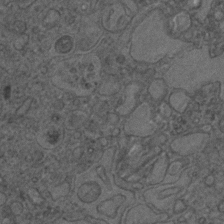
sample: Trachea